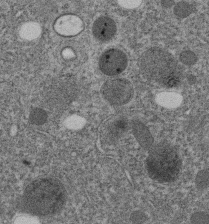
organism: C. elegans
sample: C. elegans embryo early stage